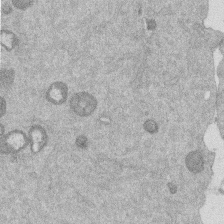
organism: Mouse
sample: Dividing mouse embryo 1 cell stage